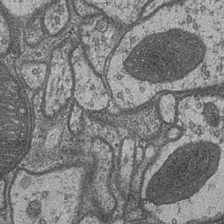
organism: Drosophila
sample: Optic medulla